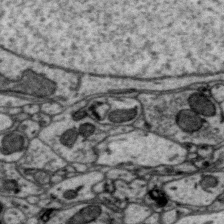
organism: Zebra finch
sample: Brain